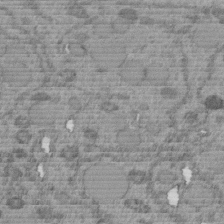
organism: C. elegans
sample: C. elegans embryo early stage